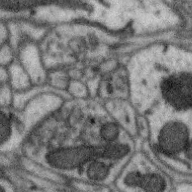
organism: Zebra finch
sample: Brain